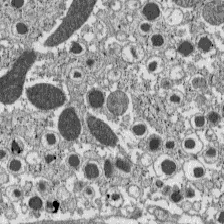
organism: C57BL Mouse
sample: Pancreatic islet